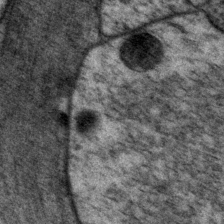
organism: P. pacificus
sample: Pharynx